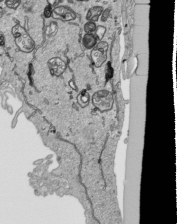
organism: Human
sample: Mitochondria in HCT116 cells